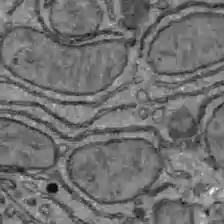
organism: C57BL Mouse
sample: Liver